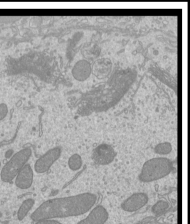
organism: Mouse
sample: Cilia; mouse epididymis